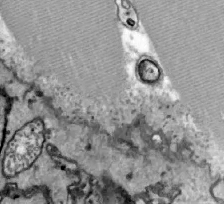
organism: Zebrafish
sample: Actinotrichia fibers